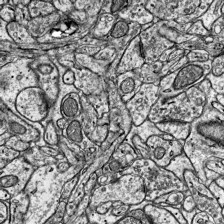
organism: Mouse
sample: Visual Cortex